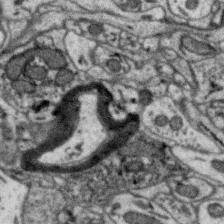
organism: Zebra finch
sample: Brain